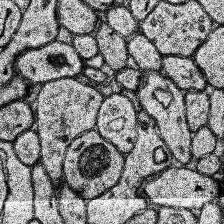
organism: Human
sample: Temporal Lobe